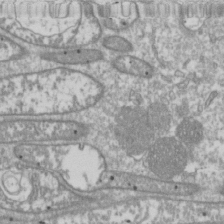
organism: Drosophila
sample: Cell division; meiosis; drosophila spermatocytes